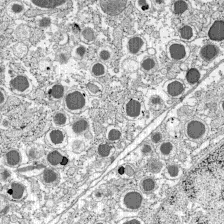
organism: C57BL Mouse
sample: Pancreatic islet